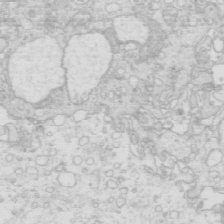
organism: Mouse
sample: Multiciliated cells